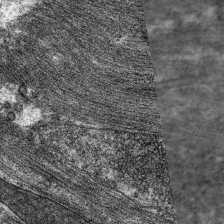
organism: C. elegans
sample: Pharynx